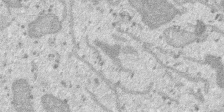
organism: Human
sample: Lung epithelial cells infected with SARS-CoV-2